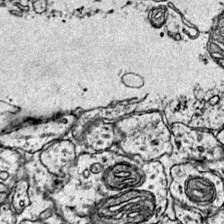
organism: Mouse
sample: Primary visual cortex